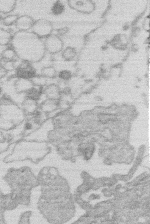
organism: Human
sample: Macrophage cells